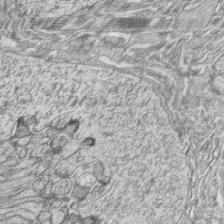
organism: Zebrafish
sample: synaptic ribbons in rod cells and cone cells